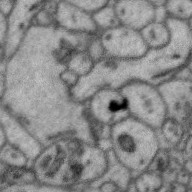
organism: Zebra finch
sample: Brain